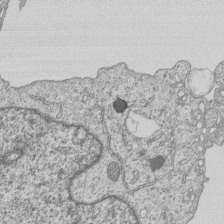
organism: Human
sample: MDA-MB-231 cells